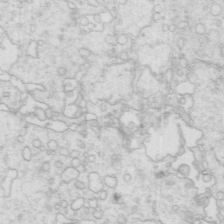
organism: Mouse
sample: Multiciliated cells